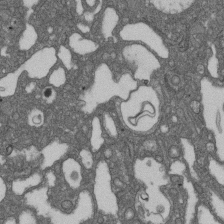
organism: Drosophila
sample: Nephrocyte